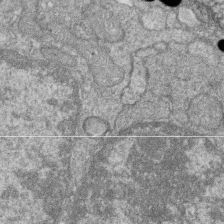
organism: Zebrafish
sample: Cilia; retinal pigment epithelium